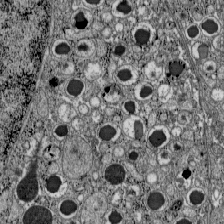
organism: C57BL Mouse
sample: Pancreatic islet